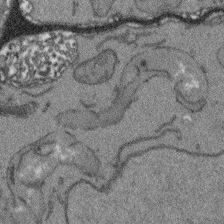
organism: Arabidopsis thaliana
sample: Root tip